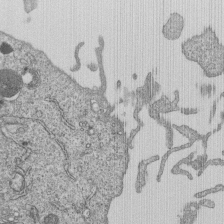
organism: Human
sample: MDA-MB-231 cells